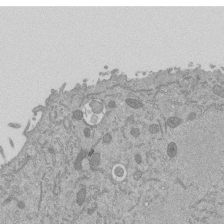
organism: Mouse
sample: ED-1 cell nuclei; centrioles